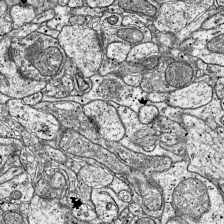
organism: Mouse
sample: Visual Cortex